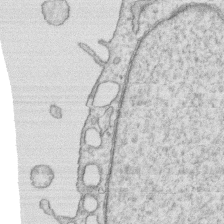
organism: Human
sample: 1205lu cells